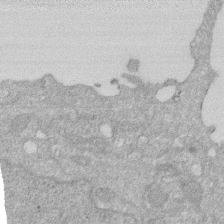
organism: Human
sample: HIV infected U937 cells